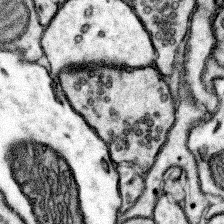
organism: Mouse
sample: Somatosensory cortex neuropil